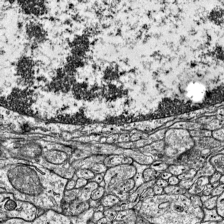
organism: Mouse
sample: Visual Cortex